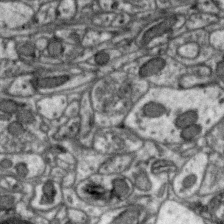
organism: Zebra finch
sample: Brain